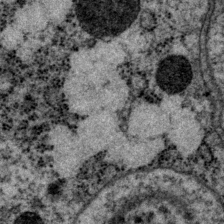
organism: P. pacificus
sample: Pharynx